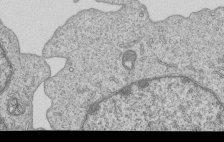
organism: Human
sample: MDA-MB-231 cells